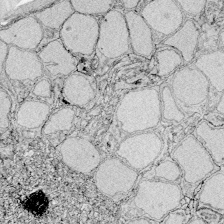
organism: Zebrafish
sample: Whole-Brain